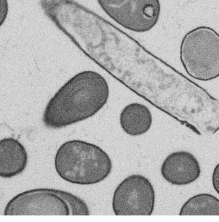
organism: B. subtilis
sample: Bacterial spore